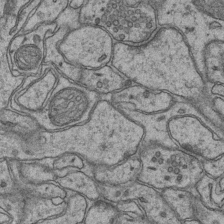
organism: Mouse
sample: CA1 Hippocampus